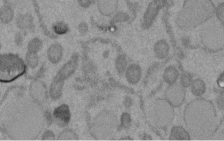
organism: C. elegans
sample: C. elegans embryo early stage